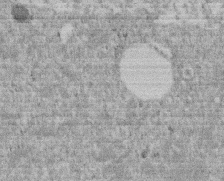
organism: Mouse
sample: Dividing mouse embryo 1 cell stage